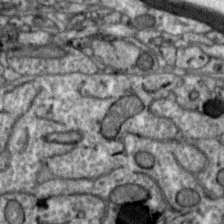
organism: Zebra finch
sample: Brain